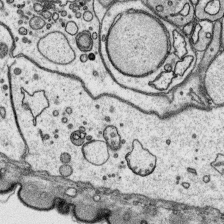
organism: Platynereis dumerilii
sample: Parapodia